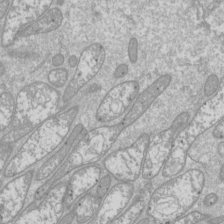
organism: Drosophila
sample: Cell division; meiosis; drosophila spermatocytes